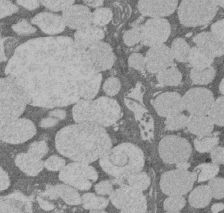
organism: Rat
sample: Salivary granule